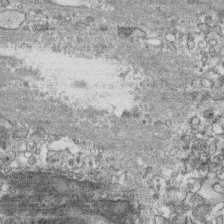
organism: Human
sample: CRL-1474